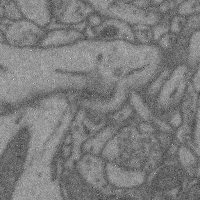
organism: Mouse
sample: Cerebral cortex